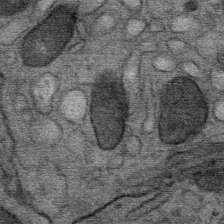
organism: Mouse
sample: Mouse Salivary gland